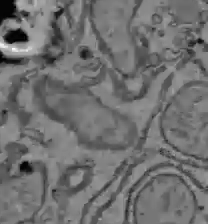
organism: C57BL Mouse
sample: Liver